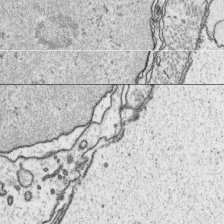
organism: Platynereis dumerilii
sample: Parapodia